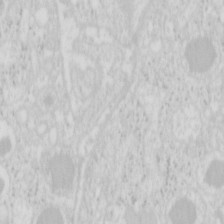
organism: Mouse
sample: Pancreas